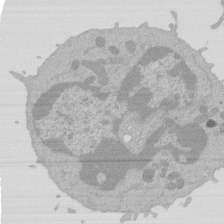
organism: Mouse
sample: Activated Pmel transgenic CD8+ T Cells